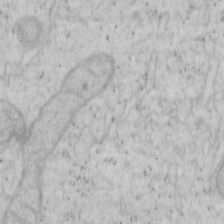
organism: Human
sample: HeLa cells